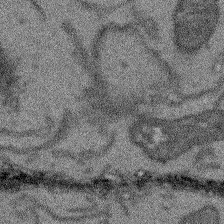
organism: Arabidopsis thaliana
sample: Root tip